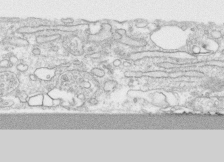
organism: Human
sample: CRL-1474